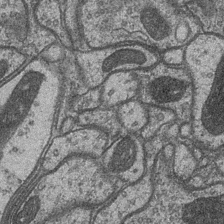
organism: Drosophila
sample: Optic medulla